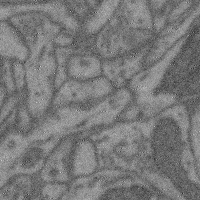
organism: Mouse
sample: Cerebral cortex